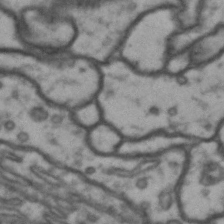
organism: Drosophila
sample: Brain